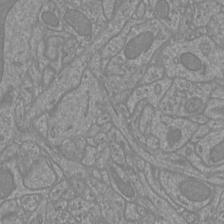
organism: Mouse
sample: Cortical neurons